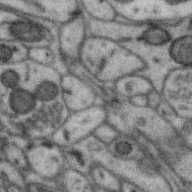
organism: Zebra finch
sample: Brain